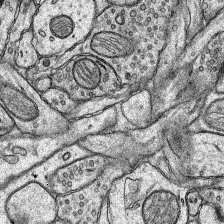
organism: Rat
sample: Hippocampus